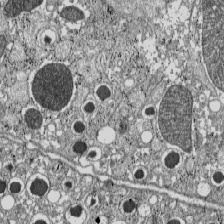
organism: C57BL Mouse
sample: Pancreatic islet